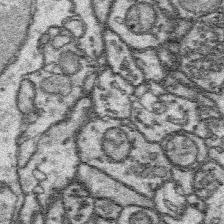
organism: Platynereis dumerilii